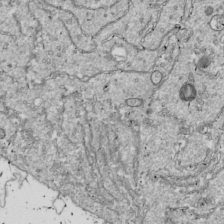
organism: Drosophila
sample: Cell division; meiosis; drosophila spermatocytes